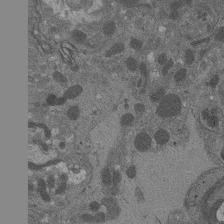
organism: Drosophila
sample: Antenna